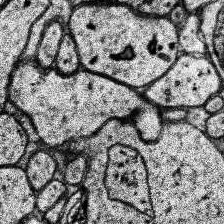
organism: Human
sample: Temporal Lobe